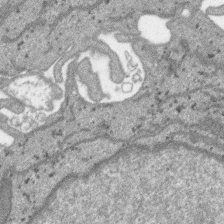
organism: Human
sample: Lung epithelial cells infected with SARS-CoV-2